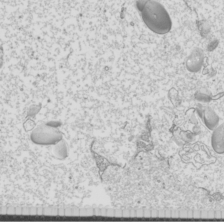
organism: Mouse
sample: Cilia; mouse epididymis